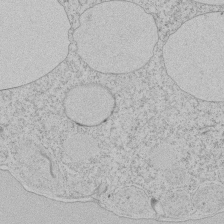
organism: Tetrahymena